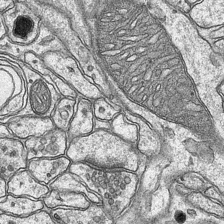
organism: Mouse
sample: CA1 Hippocampus